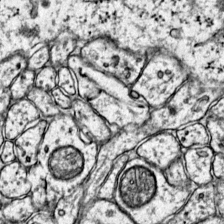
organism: Mouse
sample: Primary visual cortex